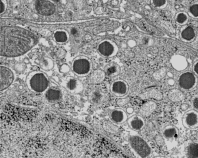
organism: C57BL Mouse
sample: Pancreatic islet